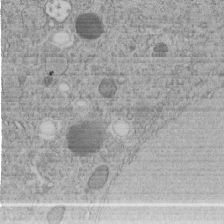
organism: C. elegans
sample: C. elegans embryo early stage